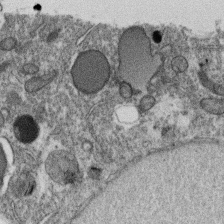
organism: C. elegans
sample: C. elegans oocyte; sperm cells